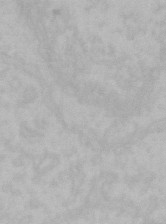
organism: Mouse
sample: Choroid plexus